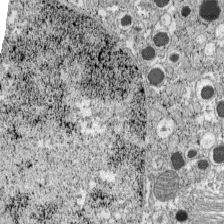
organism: C57BL Mouse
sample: Pancreatic islet